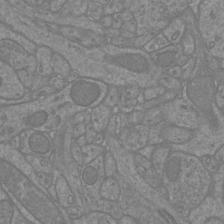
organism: Mouse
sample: Cortical neurons